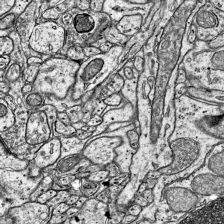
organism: Mouse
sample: Visual Cortex